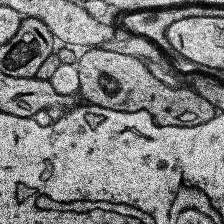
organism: Human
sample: Temporal Lobe